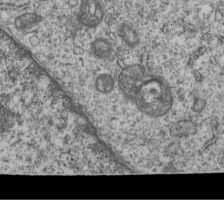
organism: Human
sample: MDA-MB-231 cells